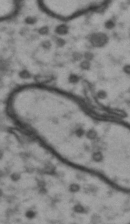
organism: Drosophila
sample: Brain